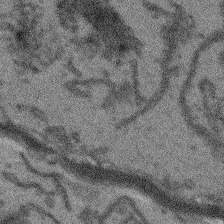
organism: Arabidopsis thaliana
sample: Root tip